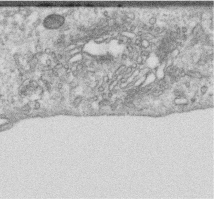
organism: Human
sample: Centriole in RPE cells